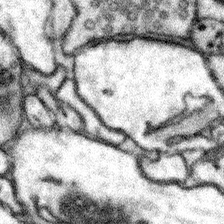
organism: Mouse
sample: Somatosensory cortex neuropil